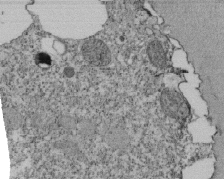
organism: Tetrahymena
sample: Cilia in tetrahymena